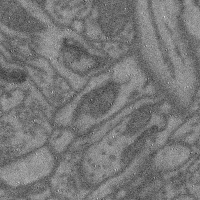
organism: Mouse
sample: Cerebral cortex